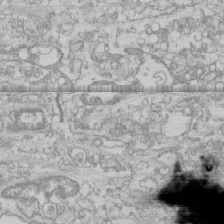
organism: Human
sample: CRL-1474